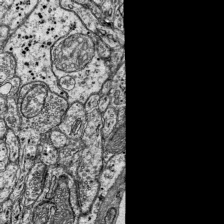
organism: Mouse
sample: Visual Cortex